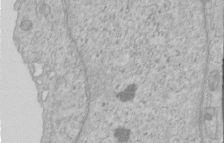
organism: Human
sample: Centriole in RPE cells